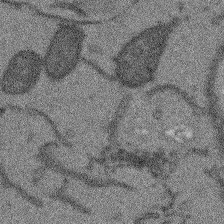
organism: Arabidopsis thaliana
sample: Root tip